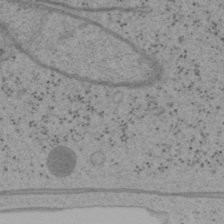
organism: Human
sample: HeLa cells